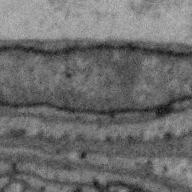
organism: Zebra finch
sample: Brain